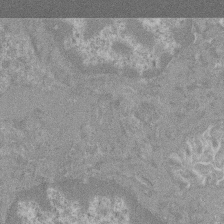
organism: Mouse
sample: Glomerulus